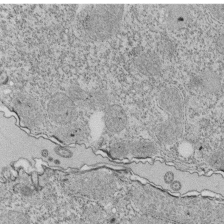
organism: Tetrahymena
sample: Cilia in tetrahymena